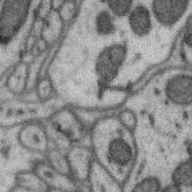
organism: Zebra finch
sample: Brain